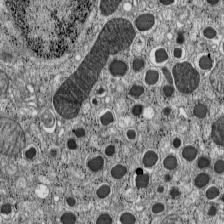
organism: C57BL Mouse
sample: Pancreatic islet